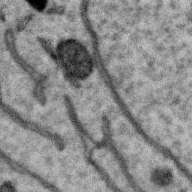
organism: Zebra finch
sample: Brain